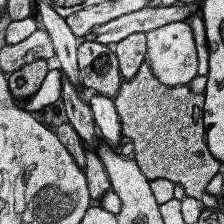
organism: Human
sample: Temporal Lobe